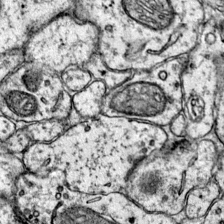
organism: Mouse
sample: Primary visual cortex